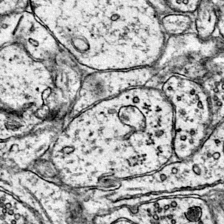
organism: Mouse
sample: Primary visual cortex